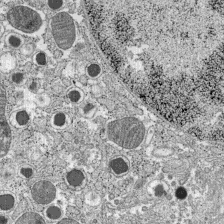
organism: C57BL Mouse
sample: Pancreatic islet